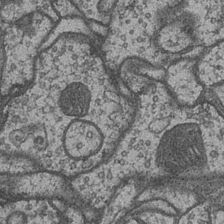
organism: Drosophila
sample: Optic medulla